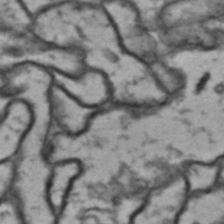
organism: Drosophila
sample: Brain